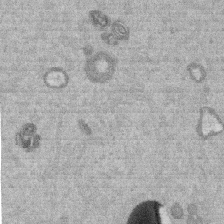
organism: Mouse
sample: Dividing mouse embryo 1 cell stage